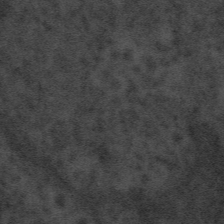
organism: Tuwongella immobilis